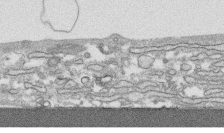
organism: Human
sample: CRL-1474